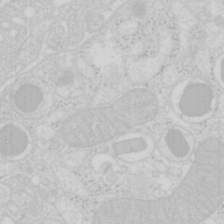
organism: Mouse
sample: Pancreas